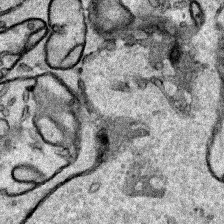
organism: Human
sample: Mitochondria in HCT116 cells